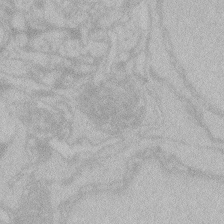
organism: Zebrafish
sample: Macrophage infected with Toxoplasma gondii